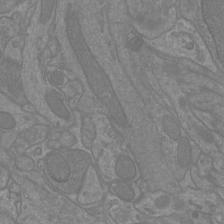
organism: Mouse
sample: Cortical neurons